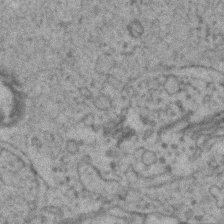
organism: Zebrafish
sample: Zebrafish embryo